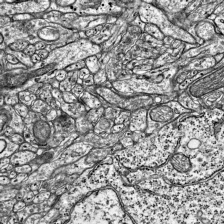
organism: Mouse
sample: Visual Cortex